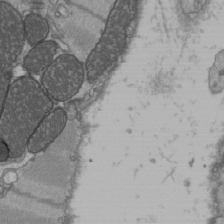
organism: C57BL Mouse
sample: Heart